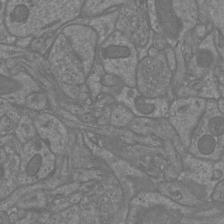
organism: Mouse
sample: Cortical neurons